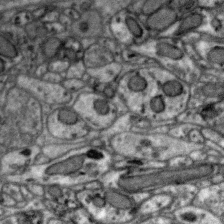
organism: Zebra finch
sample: Brain